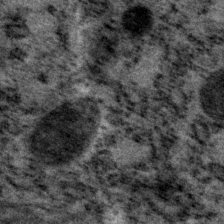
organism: P. pacificus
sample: Pharynx